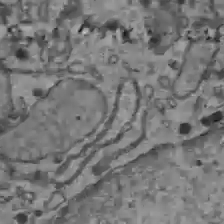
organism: C57BL Mouse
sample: Liver